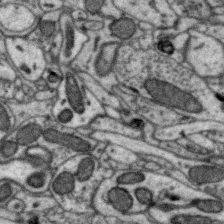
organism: Zebra finch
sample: Brain